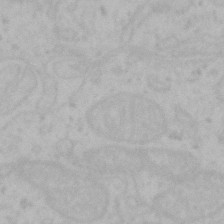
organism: Mouse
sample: Choroid plexus